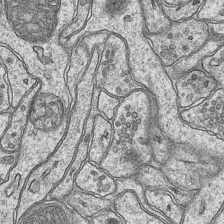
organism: Mouse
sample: CA1 Hippocampus